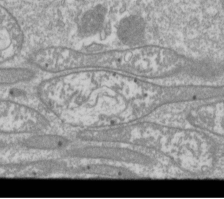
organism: Drosophila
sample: Cell division; meiosis; drosophila spermatocytes